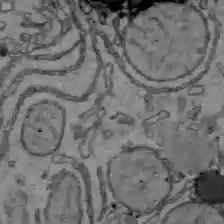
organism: C57BL Mouse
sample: Liver